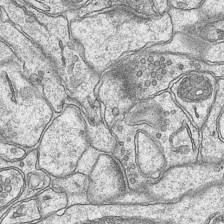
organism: Mouse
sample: CA1 Hippocampus